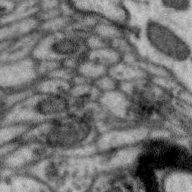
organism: Zebra finch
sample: Brain